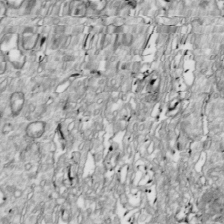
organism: Drosophila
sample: Cell division; meiosis; drosophila spermatocytes